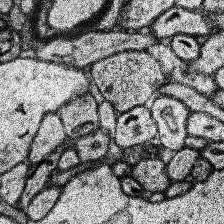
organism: Human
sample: Temporal Lobe